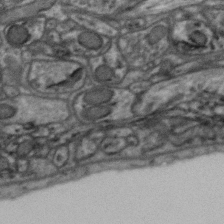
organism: Zebra finch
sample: Brain